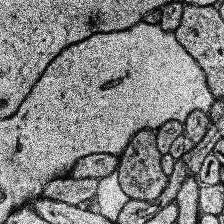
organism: Human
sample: Temporal Lobe